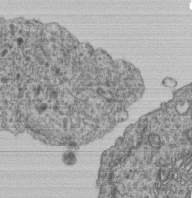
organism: Human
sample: Retinal organoid Rod and Cone cells